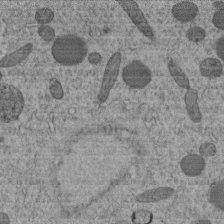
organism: C. elegans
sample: C. elegans embryo early stage